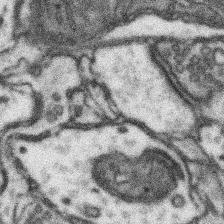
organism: Mouse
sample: Somatosensory cortex neuropil